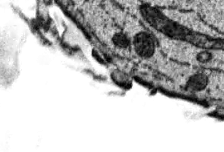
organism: Human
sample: HeLa cells